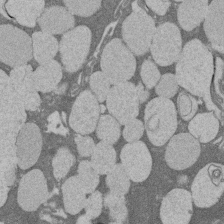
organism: Rat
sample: Salivary granule